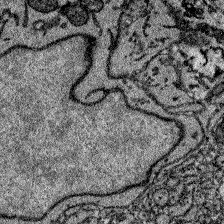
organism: Zebrafish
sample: Larval olfactory bulb